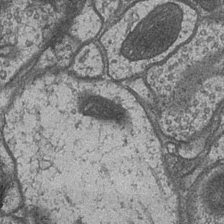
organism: Drosophila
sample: Optic medulla